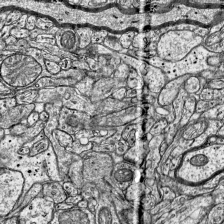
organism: Mouse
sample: Visual Cortex